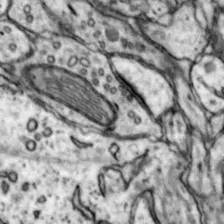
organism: Mouse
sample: Nucleus accumbens